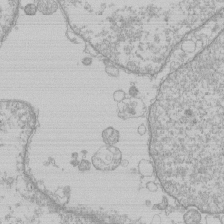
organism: Human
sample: Macrophage cells